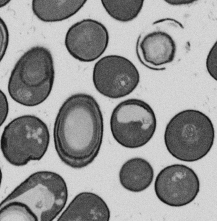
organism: B. subtilis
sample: Bacterial spore